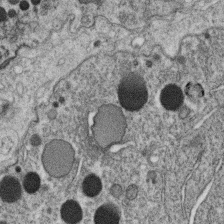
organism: C. elegans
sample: C. elegans oocyte; sperm cells